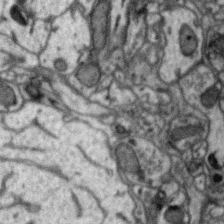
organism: Zebra finch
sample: Brain